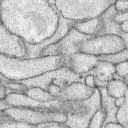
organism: Rabbit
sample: Retina